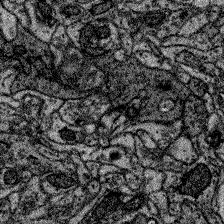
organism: Zebrafish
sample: Larval olfactory bulb